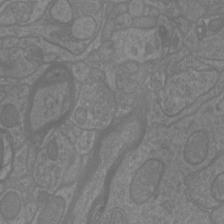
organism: Mouse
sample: Cortical neurons